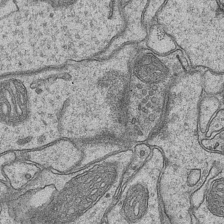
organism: Mouse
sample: CA1 Hippocampus